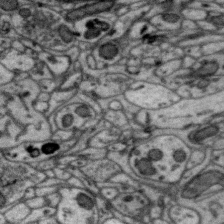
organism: Zebra finch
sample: Brain